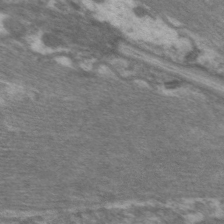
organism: C. elegans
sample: Pharynx